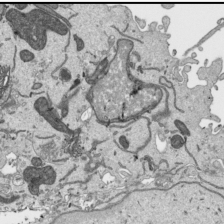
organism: Human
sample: Mitochondria in HCT116 cells